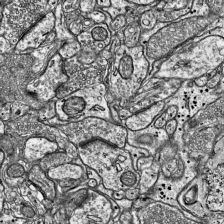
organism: Mouse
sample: Visual Cortex